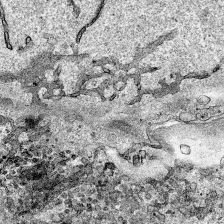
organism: Human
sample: Mitochondria in HCT116 cells